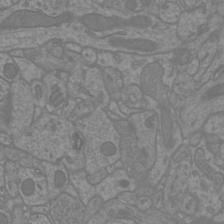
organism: Mouse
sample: Cortical neurons